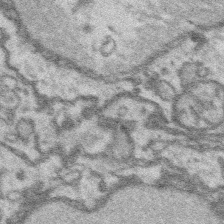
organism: Platynereis dumerilii